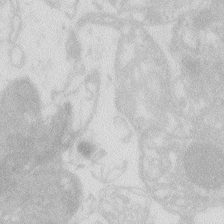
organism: Zebrafish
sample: Macrophage